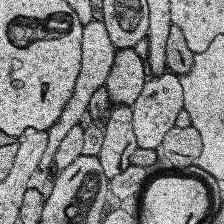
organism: Human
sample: Temporal Lobe